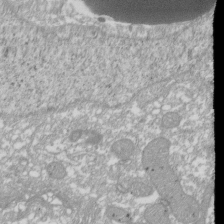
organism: Xenopus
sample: Cilia; centrioles in frog embryo cells